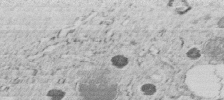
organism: C. elegans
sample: C. elegans embryo early stage